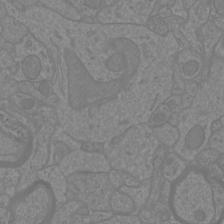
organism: Mouse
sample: Cortical neurons